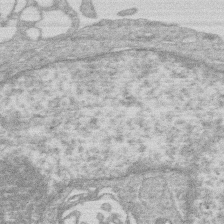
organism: Human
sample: Macrophage cells